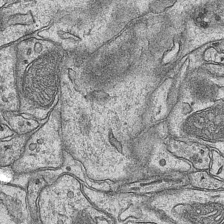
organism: Mouse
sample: CA1 Hippocampus